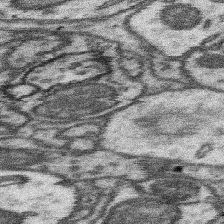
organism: Mouse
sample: Somatosensory cortex neuropil